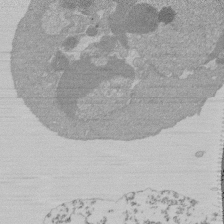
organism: Mouse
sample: Activated Pmel transgenic CD8+ T Cells